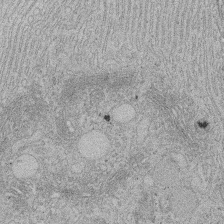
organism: Rat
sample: Salivary granule